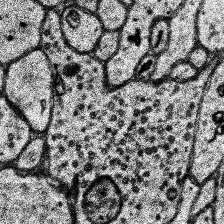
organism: Human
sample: Temporal Lobe